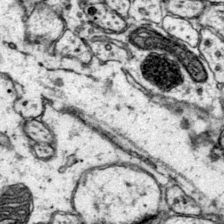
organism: Mouse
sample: Primary visual cortex